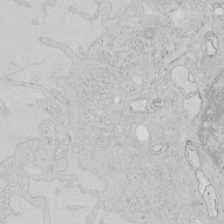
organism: Human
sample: Mitochondria in HCT116 cells